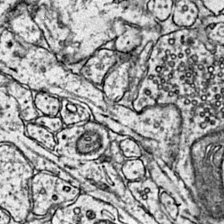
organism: Mouse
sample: Primary visual cortex